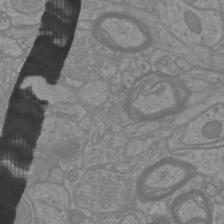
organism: Mouse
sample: Cortical neurons